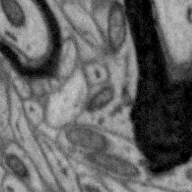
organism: Zebra finch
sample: Brain